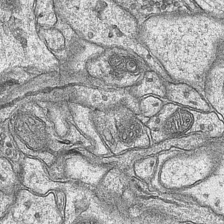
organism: Mouse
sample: CA1 Hippocampus